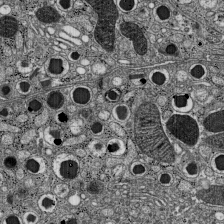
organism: C57BL Mouse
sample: Pancreatic islet